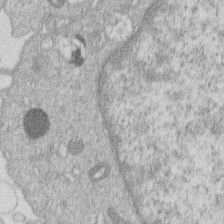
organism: Human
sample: Macrophage cells